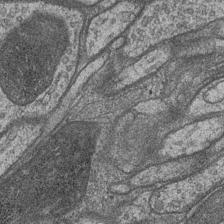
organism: Drosophila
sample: Optic medulla